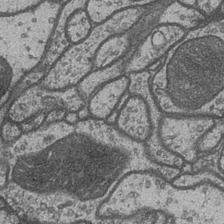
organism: Drosophila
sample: Optic medulla